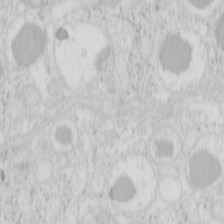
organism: Mouse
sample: Pancreas